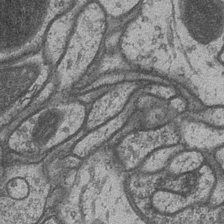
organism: Drosophila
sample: Optic medulla